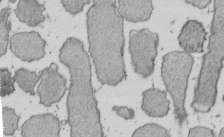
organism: E. coli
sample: Bacterial nucleoid